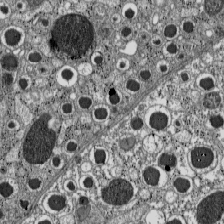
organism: C57BL Mouse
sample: Pancreatic islet